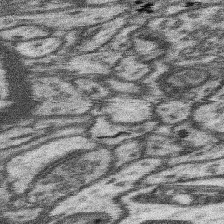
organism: Mouse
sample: Somatosensory cortex neuropil